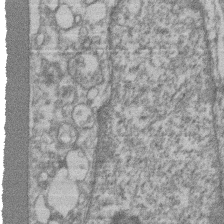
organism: Mouse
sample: T cell stromal cell synapse